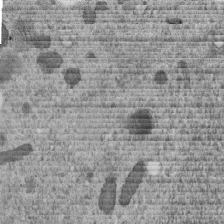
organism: C. elegans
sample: C. elegans embryo early stage